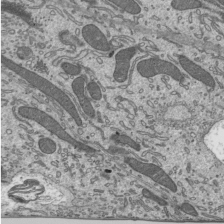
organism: Mouse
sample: Mouse epididymis efferent ductule cilia